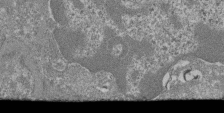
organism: Mouse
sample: Glomerulus